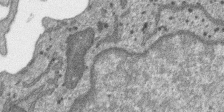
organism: Human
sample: Lung epithelial cells infected with SARS-CoV-2